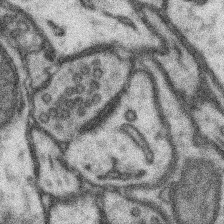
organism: Mouse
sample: Somatosensory cortex neuropil